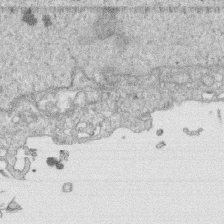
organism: Human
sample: HeLa cell HIV synapse